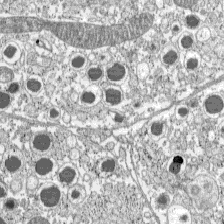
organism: C57BL Mouse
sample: Pancreatic islet